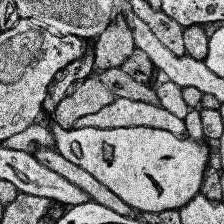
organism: Human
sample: Temporal Lobe